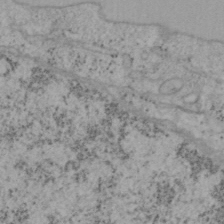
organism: Human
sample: HeLa cells